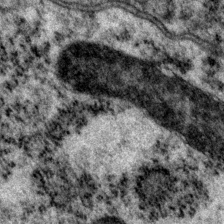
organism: P. pacificus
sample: Pharynx